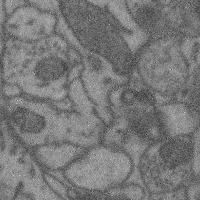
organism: Mouse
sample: Cerebral cortex